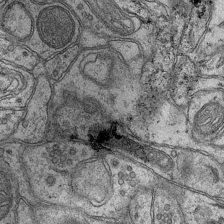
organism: Mouse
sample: CA1 Hippocampus